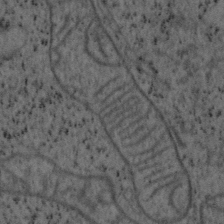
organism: Human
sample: HeLa cells